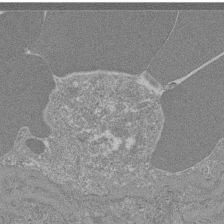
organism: Mouse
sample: Glomerulus